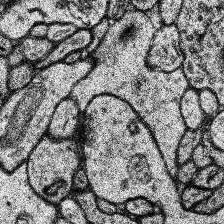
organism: Human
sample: Temporal Lobe